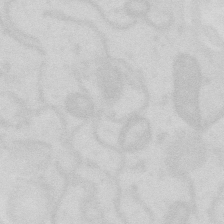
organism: Human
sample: HeLa cells